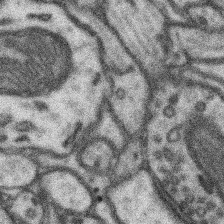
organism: Mouse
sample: Somatosensory cortex neuropil